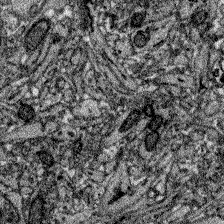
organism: Zebrafish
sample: Larval olfactory bulb